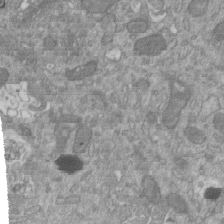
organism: Mouse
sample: ED-1 cell nuclei; centrioles